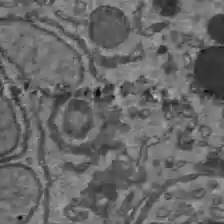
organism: C57BL Mouse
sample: Liver